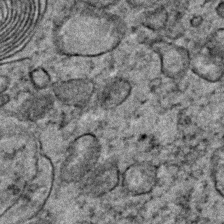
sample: Trachea